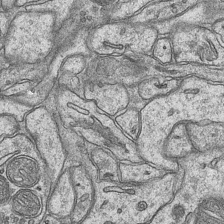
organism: Mouse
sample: CA1 Hippocampus